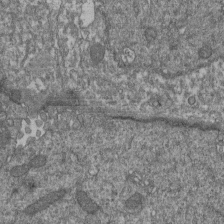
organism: Human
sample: Retinal organoid Rod and Cone cells